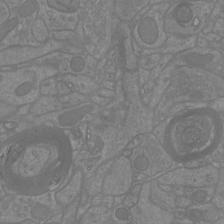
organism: Mouse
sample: Cortical neurons